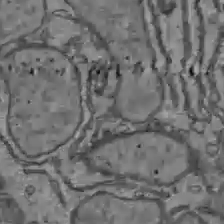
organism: C57BL Mouse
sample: Liver